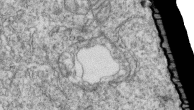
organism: Human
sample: HeLa cell HIV synapse